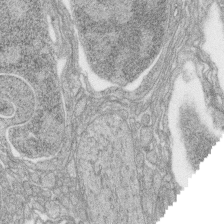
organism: Zebrafish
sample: synaptic ribbons in rod cells and cone cells